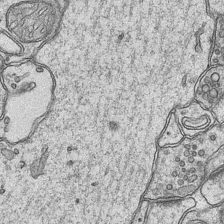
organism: Mouse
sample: CA1 Hippocampus